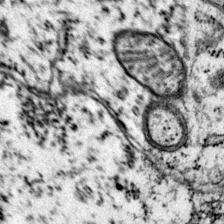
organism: Mouse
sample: Primary visual cortex